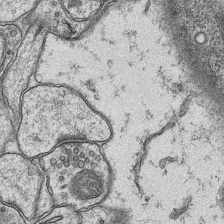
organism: Mouse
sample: CA1 Hippocampus